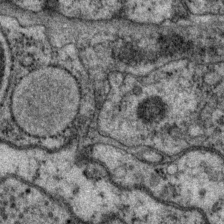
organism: P. pacificus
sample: Pharynx